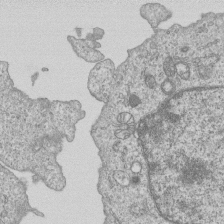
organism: Human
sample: MDA-MB-231 cells